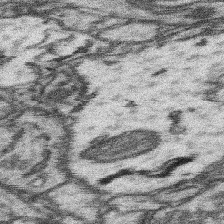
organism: Mouse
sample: Somatosensory cortex neuropil